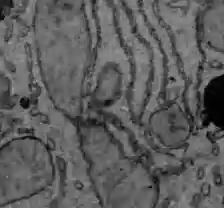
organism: C57BL Mouse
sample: Liver